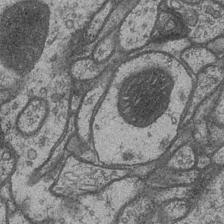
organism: Drosophila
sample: Optic medulla